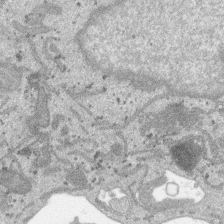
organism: Human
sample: Lung epithelial cells infected with SARS-CoV-2